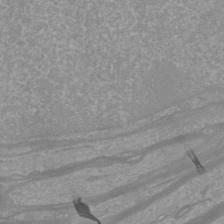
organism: Mouse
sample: Cortical neurons